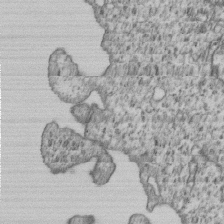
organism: Human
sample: MDA-MB-231 cells